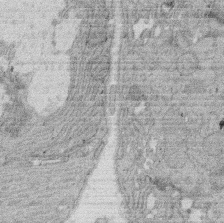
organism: Rat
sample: Salivary granule